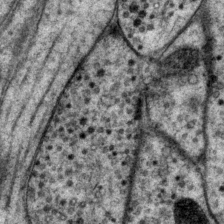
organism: P. pacificus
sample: Pharynx